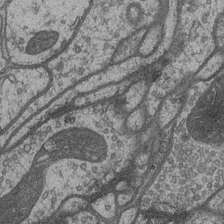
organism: Drosophila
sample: Optic medulla